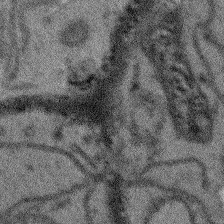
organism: Arabidopsis thaliana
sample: Root tip